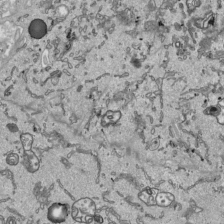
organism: Human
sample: Mitochondria in HCT116 cells